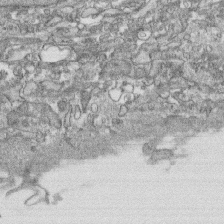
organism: Human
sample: CRL-1474